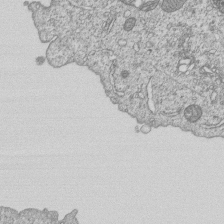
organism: Human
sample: MDA-MB-231 cells